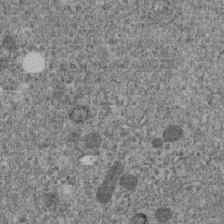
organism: C. elegans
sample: C. elegans embryo early stage